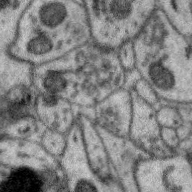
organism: Zebra finch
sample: Brain